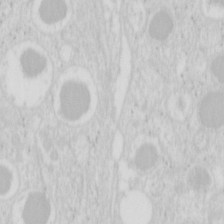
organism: Mouse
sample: Pancreas